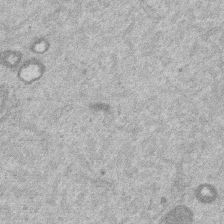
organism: Mouse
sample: Dividing mouse embryo 1 cell stage